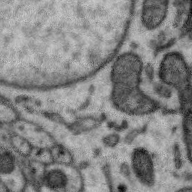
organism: Zebra finch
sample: Brain